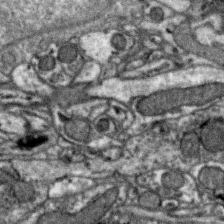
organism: Zebra finch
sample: Brain